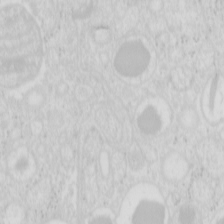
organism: Mouse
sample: Pancreas